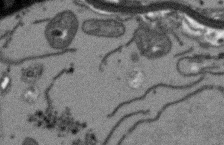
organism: Arabidopsis thaliana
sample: Root tip